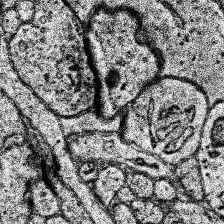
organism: Human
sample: Temporal Lobe